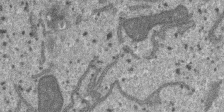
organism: Human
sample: Lung epithelial cells infected with SARS-CoV-2